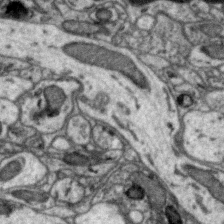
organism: Zebra finch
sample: Brain